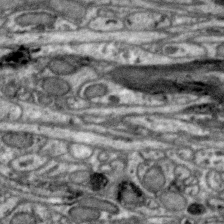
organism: Zebra finch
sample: Brain